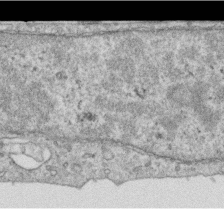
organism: Human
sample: Centriole in RPE cells